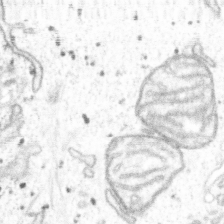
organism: Human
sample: HeLa cells